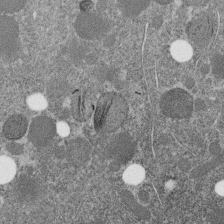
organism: C. elegans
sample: C. elegans embryo early stage